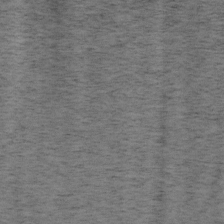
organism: Mouse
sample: OT-I killer T cells with ID8 ovarian cancer cells